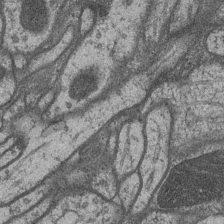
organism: Drosophila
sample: Optic medulla